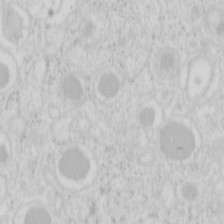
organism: Mouse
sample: Pancreas